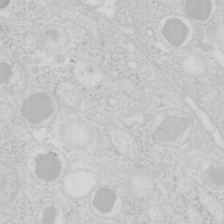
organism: Mouse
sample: Pancreas